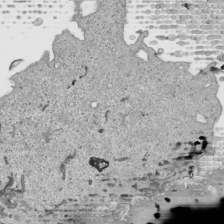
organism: Human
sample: Mitochondria in HCT116 cells